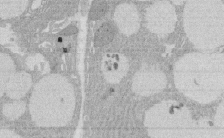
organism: Rat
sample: Salivary granule